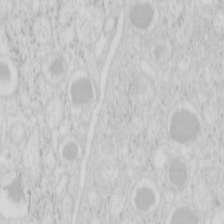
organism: Mouse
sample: Pancreas